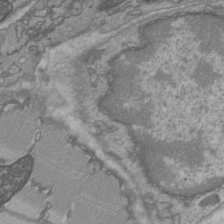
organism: C57BL Mouse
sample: Heart